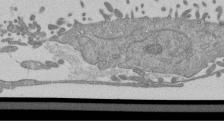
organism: Mouse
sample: ED-1 cell nuclei; centrioles